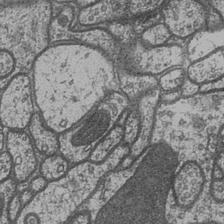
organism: Drosophila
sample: Optic medulla